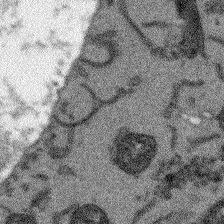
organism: Arabidopsis thaliana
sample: Root tip